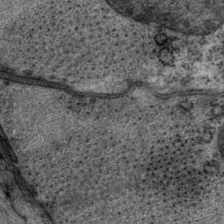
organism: P. pacificus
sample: Pharynx